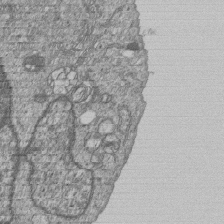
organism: Human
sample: MDA-MB-231 cells